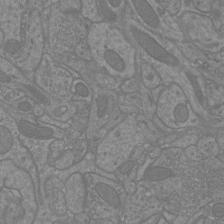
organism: Mouse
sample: Cortical neurons